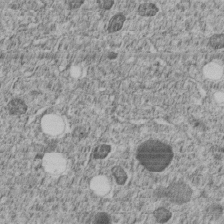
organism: C. elegans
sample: C. elegans embryo early stage